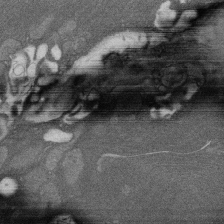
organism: Rat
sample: Salivary granule